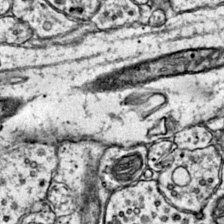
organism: Mouse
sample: Primary visual cortex